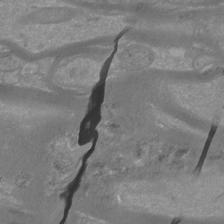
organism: Mouse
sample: Cortical neurons